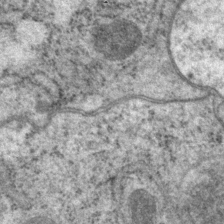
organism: P. pacificus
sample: Pharynx